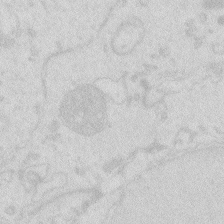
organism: Zebrafish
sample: Macrophage